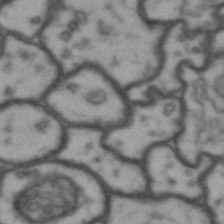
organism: Drosophila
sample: Brain